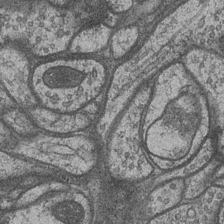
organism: Drosophila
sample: Optic medulla